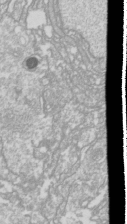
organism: Drosophila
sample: Cell division; meiosis; drosophila spermatocytes